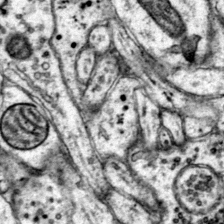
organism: Mouse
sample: Primary visual cortex